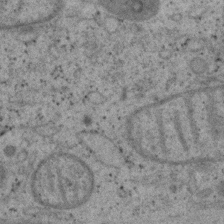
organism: Human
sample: HeLa cells